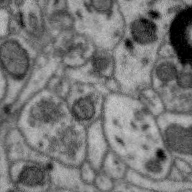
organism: Zebra finch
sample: Brain